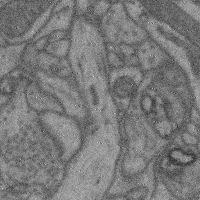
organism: Mouse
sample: Cerebral cortex